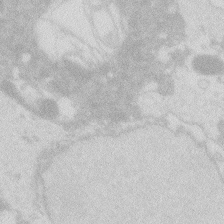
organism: Zebrafish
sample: Macrophage